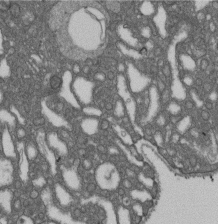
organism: Drosophila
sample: Nephrocyte